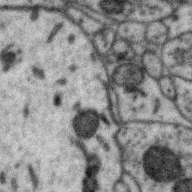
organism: Zebra finch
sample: Brain